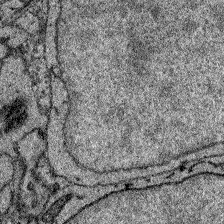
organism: Zebrafish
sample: Larval olfactory bulb